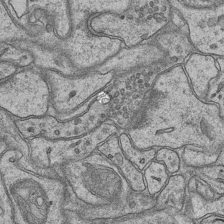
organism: Mouse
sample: CA1 Hippocampus